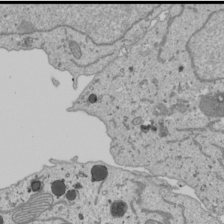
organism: Human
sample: Mitochondria in U2OS cells